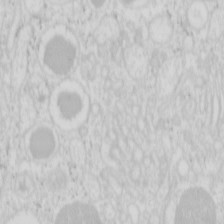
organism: Mouse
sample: Pancreas